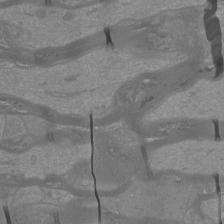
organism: Mouse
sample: Cortical neurons